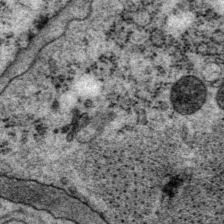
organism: P. pacificus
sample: Pharynx